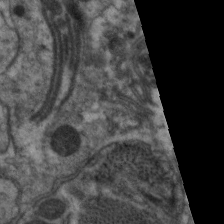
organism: C. elegans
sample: Pharynx